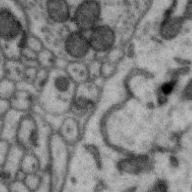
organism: Zebra finch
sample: Brain